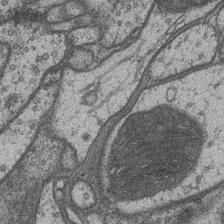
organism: Drosophila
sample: Optic medulla